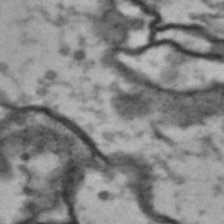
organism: Drosophila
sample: Brain